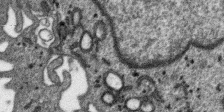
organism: Human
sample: Lung epithelial cells infected with SARS-CoV-2